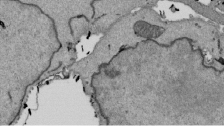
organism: Mouse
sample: ED-1 cell nuclei; centrioles